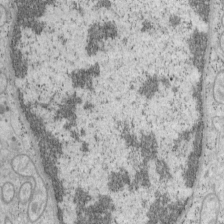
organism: Mouse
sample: OT-I killer T cells with ID8 ovarian cancer cells